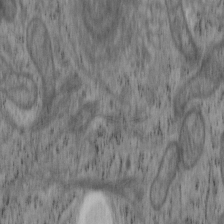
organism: Human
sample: HeLa cells